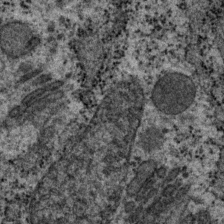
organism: P. pacificus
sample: Pharynx